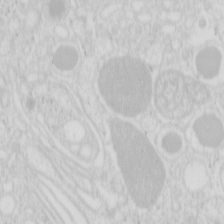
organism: Mouse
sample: Pancreas